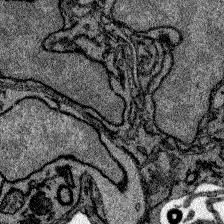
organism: Zebrafish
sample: Larval olfactory bulb